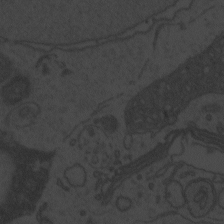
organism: Zebrafish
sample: Macrophage infected with Toxoplasma gondii